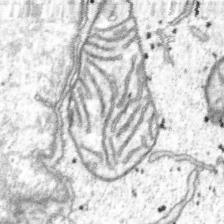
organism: Human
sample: HeLa cells